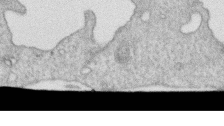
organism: Human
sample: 1205lu cells